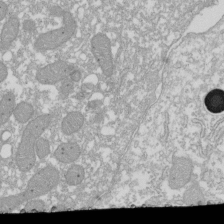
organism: Xenopus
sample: Cilia; centrioles in frog embryo cells